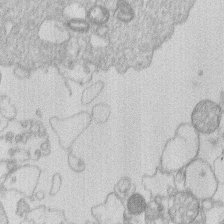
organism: Human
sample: Macrophage cells